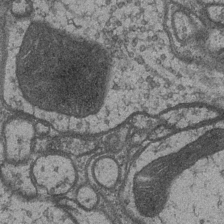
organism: Drosophila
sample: Optic medulla